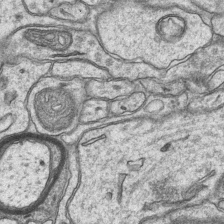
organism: Mouse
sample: CA1 Hippocampus